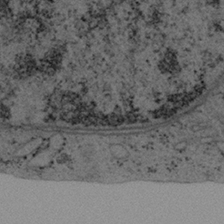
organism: Human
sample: HeLa cells